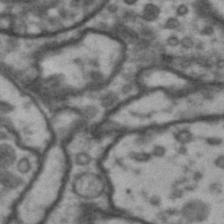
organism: Drosophila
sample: Brain